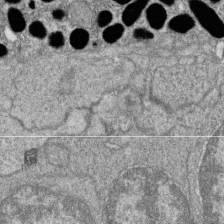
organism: Zebrafish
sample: Cilia; retinal pigment epithelium